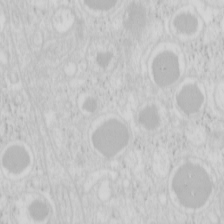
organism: Mouse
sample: Pancreas